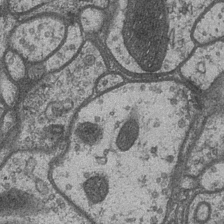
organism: Drosophila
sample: Optic medulla